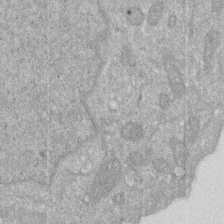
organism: Human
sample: HIV infected U937 cells